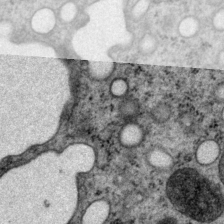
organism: P. pacificus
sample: Pharynx